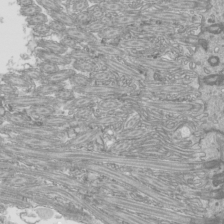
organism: Mouse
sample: Cilia; mouse epididymis